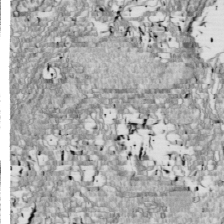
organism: Drosophila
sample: Cell division; meiosis; drosophila spermatocytes